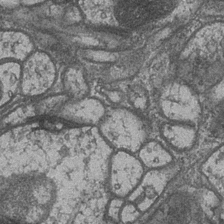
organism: Drosophila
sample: Optic medulla